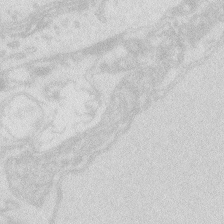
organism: Zebrafish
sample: Macrophage